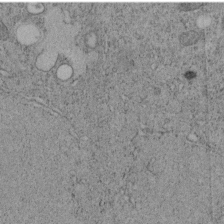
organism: C. elegans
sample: C. elegans embryo early stage